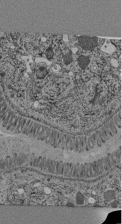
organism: C. elegans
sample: C. elegans pharynx